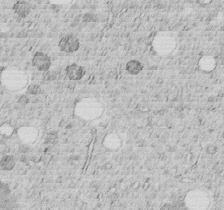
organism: C. elegans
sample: C. elegans embryo early stage